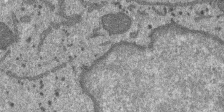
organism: Human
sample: Lung epithelial cells infected with SARS-CoV-2